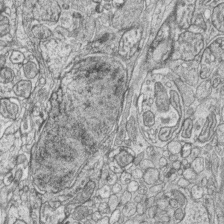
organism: Zebrafish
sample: synaptic ribbons in rod cells and cone cells